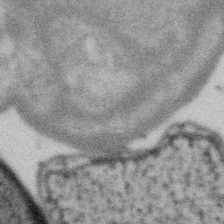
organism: Gemmata obscuriglobus